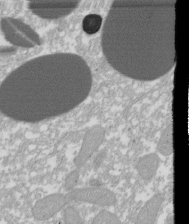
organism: Xenopus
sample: Cilia; centrioles in frog embryo cells